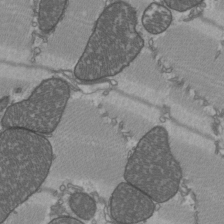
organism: C57BL Mouse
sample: Heart